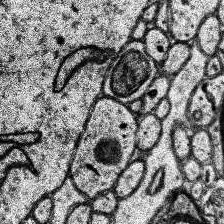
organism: Human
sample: Temporal Lobe